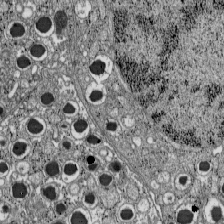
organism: C57BL Mouse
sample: Pancreatic islet